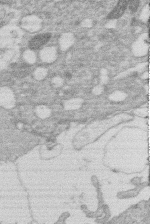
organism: Human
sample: Macrophage cells